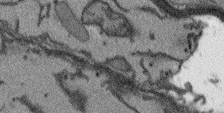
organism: Arabidopsis thaliana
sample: Root tip